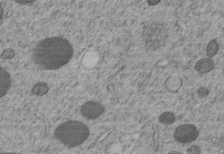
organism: C. elegans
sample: C. elegans embryo early stage